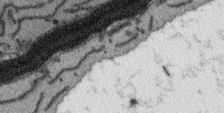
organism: Arabidopsis thaliana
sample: Root tip